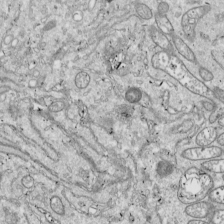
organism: Drosophila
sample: Cell division; meiosis; drosophila spermatocytes